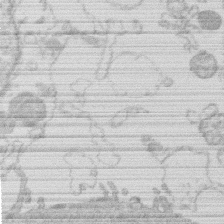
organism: Human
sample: Macrophage cells